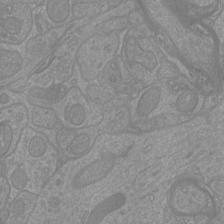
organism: Mouse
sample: Cortical neurons